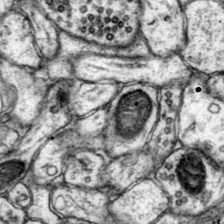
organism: Mouse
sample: Primary visual cortex